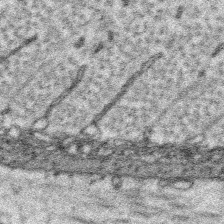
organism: Platynereis dumerilii